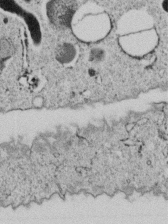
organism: C. elegans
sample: C. elegans embryo early stage